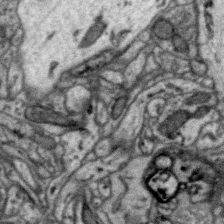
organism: Zebra finch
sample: Brain